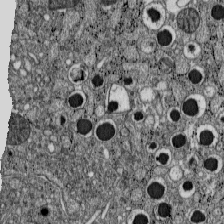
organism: C57BL Mouse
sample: Pancreatic islet